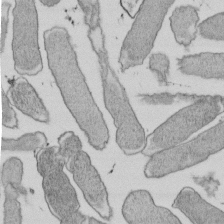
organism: E. coli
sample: Bacterial nucleoid